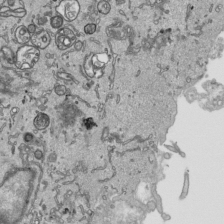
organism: Human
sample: Mitochondria in HCT116 cells